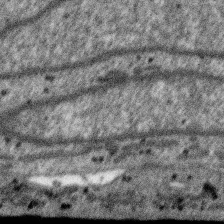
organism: Human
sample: Lung epithelial cells infected with SARS-CoV-2